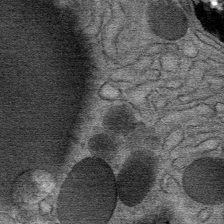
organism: Mouse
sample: Mouse Salivary gland